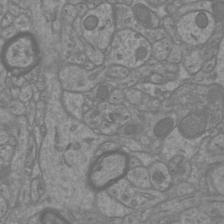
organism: Mouse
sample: Cortical neurons